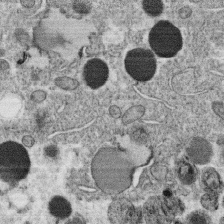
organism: C. elegans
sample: C. elegans oocyte; sperm cells